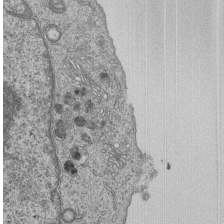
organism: Human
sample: MDA-MB-231 cells